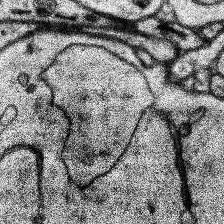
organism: Human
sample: Temporal Lobe